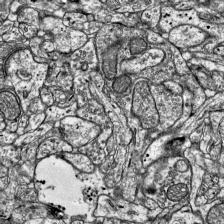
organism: Mouse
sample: Visual Cortex